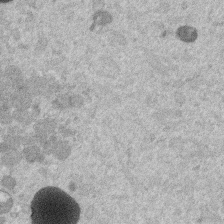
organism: Mouse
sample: Dividing mouse embryo 1 cell stage